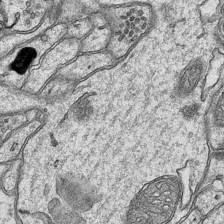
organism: Mouse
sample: CA1 Hippocampus